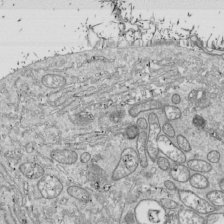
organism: Drosophila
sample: Cell division; meiosis; drosophila spermatocytes